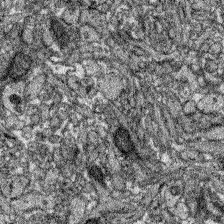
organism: Zebrafish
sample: Larval olfactory bulb